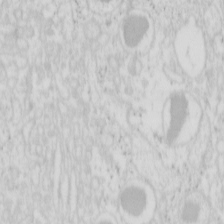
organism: Mouse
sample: Pancreas